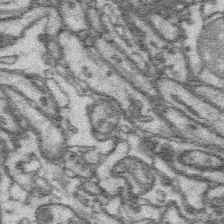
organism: Platynereis dumerilii